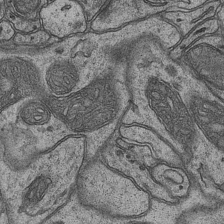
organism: Mouse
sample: CA1 Hippocampus